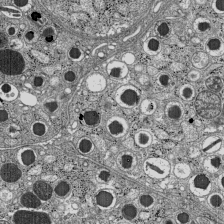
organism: C57BL Mouse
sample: Pancreatic islet